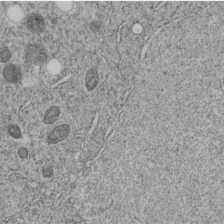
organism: C. elegans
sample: C. elegans embryo early stage